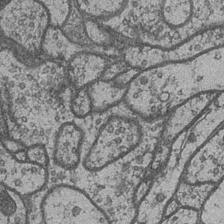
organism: Drosophila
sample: Optic medulla